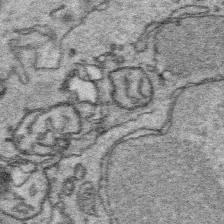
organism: Platynereis dumerilii